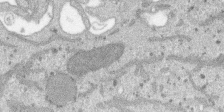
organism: Human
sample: Lung epithelial cells infected with SARS-CoV-2